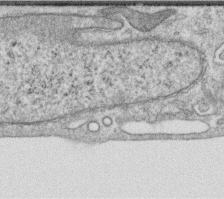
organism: Human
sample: Centriole in RPE cells